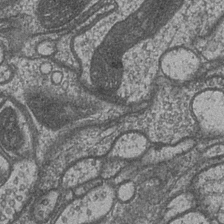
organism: Drosophila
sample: Optic medulla